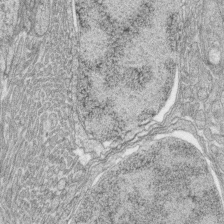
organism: Zebrafish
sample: synaptic ribbons in rod cells and cone cells